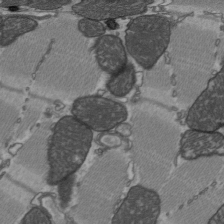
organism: C57BL Mouse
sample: Heart